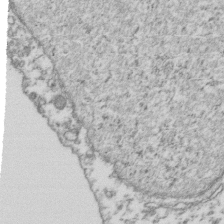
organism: Human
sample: Activated Jurkat CD4+ T cells